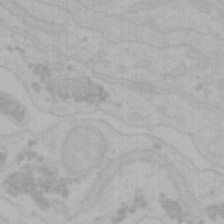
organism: Mouse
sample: Choroid plexus